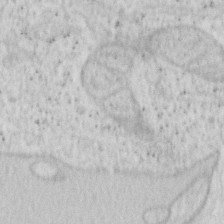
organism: Human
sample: HeLa cells